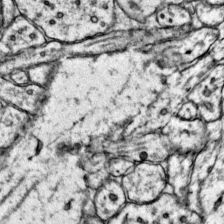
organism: Mouse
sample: Primary visual cortex